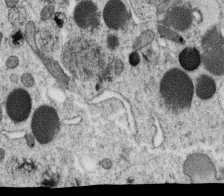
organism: C. elegans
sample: C. elegans oocyte; sperm cells